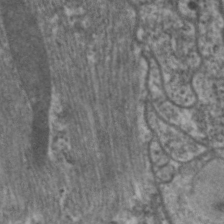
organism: C. elegans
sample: Pharynx